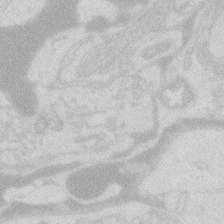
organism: Zebrafish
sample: Macrophage